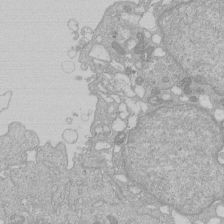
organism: Human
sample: Macrophage cells